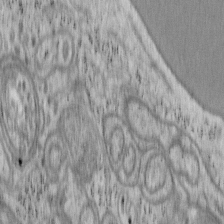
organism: Human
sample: HeLa cells